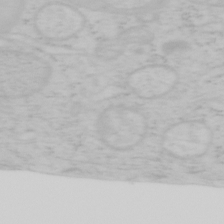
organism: Mouse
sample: OT-I killer T cells with ID8 ovarian cancer cells